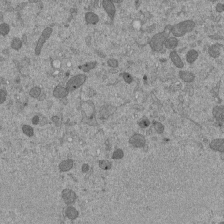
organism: Mouse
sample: ED-1 cell nuclei; centrioles